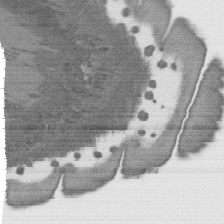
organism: C. elegans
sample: AFD neurons C. elegans